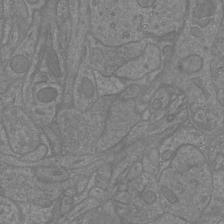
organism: Mouse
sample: Cortical neurons